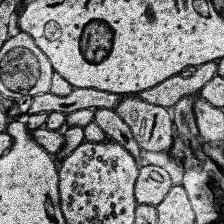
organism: Human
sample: Temporal Lobe